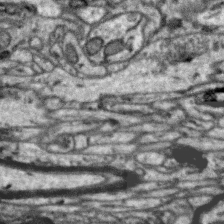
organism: Zebra finch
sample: Brain